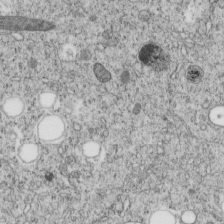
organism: C. elegans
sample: C. elegans embryo early stage